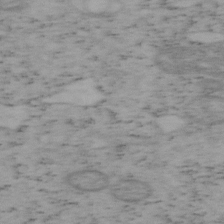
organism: Mouse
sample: OT-I killer T cells with ID8 ovarian cancer cells